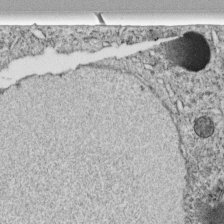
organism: C. elegans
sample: C. elegans embryo early stage